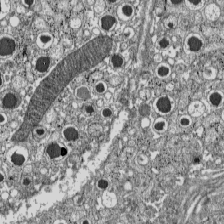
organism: C57BL Mouse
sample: Pancreatic islet